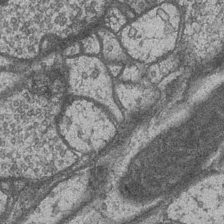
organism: Drosophila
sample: Optic medulla